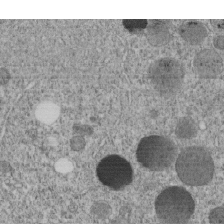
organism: C. elegans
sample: C. elegans embryo early stage